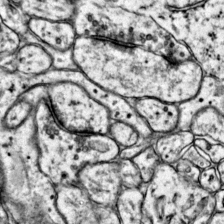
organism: Mouse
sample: Primary visual cortex